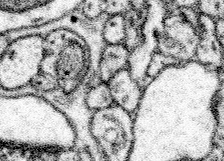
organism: Mouse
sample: Somatosensory cortex neuropil